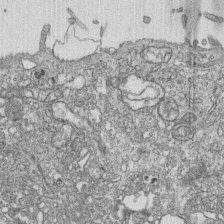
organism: Human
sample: HeLa cell HIV synapse